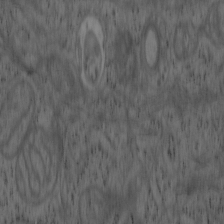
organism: Human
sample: HeLa cells